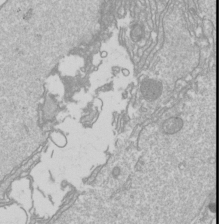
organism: Drosophila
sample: Cell division; meiosis; drosophila spermatocytes